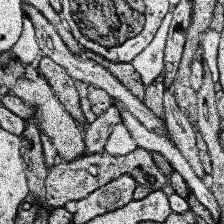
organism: Human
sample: Temporal Lobe